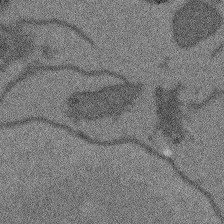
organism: Arabidopsis thaliana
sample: Root tip